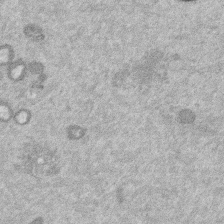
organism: Mouse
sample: Dividing mouse embryo 1 cell stage